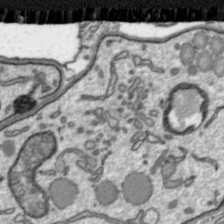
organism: Toxoplasma gondii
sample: Parasites in a vacuole inside a host cell